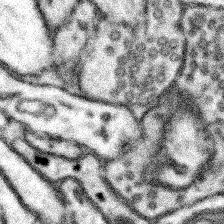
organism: Mouse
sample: Somatosensory cortex neuropil